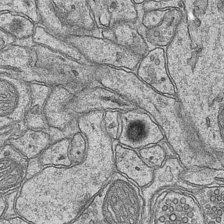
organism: Mouse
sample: CA1 Hippocampus